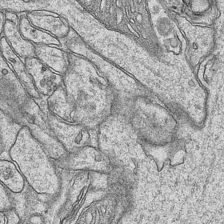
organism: Mouse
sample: CA1 Hippocampus